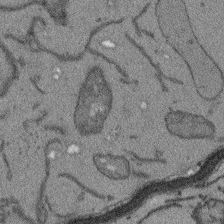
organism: Arabidopsis thaliana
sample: Root tip